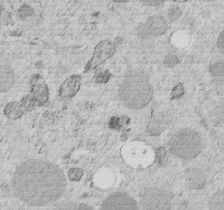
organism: C. elegans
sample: C. elegans embryo early stage